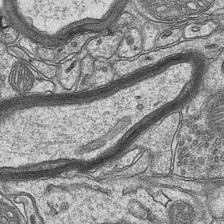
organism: Mouse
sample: CA1 Hippocampus